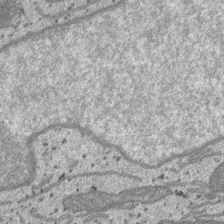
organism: Human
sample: Lung epithelial cells infected with SARS-CoV-2